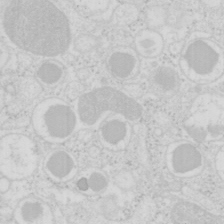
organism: Mouse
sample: Pancreas